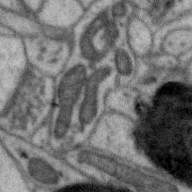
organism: Zebra finch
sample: Brain